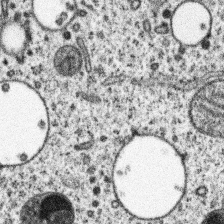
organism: Human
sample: HeLa cells